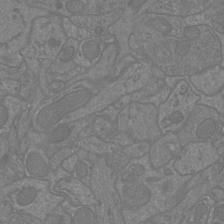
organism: Mouse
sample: Cortical neurons